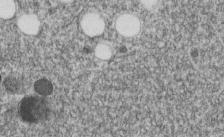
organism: C. elegans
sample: C. elegans embryo early stage